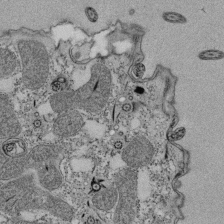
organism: Tetrahymena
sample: Cilia in tetrahymena